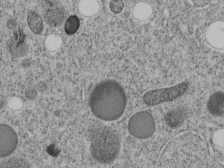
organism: C. elegans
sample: C. elegans embryo early stage